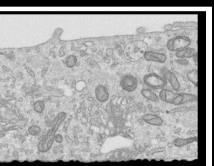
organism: Human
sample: Centriole in RPE cells